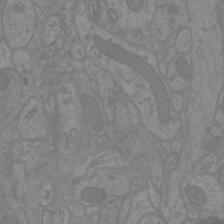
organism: Mouse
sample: Cortical neurons